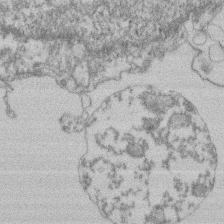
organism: Mouse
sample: T cell stromal cell synapse